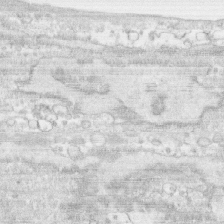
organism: Human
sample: CRL-1474